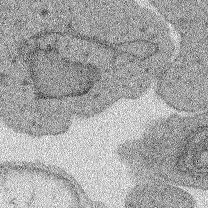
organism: Human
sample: HeLa cells